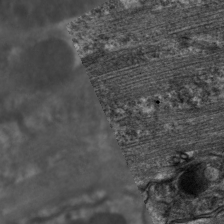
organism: C. elegans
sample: Pharynx